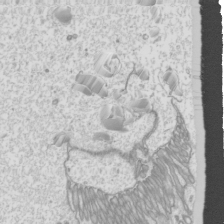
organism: Mouse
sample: Cilia; mouse epididymis